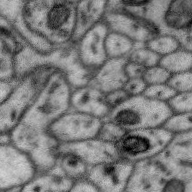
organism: Zebra finch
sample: Brain